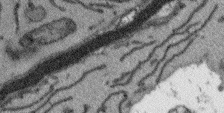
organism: Arabidopsis thaliana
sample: Root tip